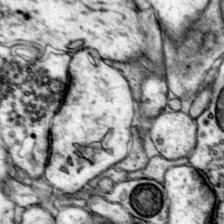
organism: Mouse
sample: Primary visual cortex